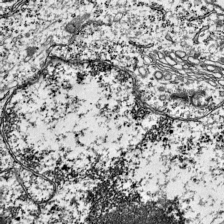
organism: Mouse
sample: Visual Cortex